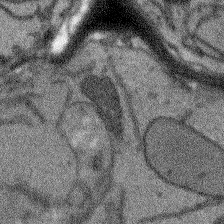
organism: Arabidopsis thaliana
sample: Root tip